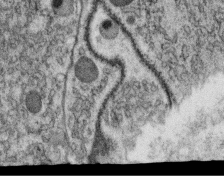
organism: C. elegans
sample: C. elegans oocyte; sperm cells